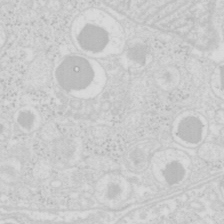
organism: Mouse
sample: Pancreas